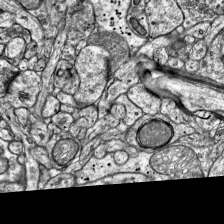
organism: Mouse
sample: Visual Cortex